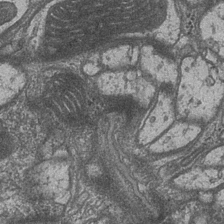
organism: Drosophila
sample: Optic medulla